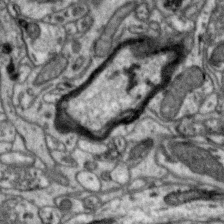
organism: Zebra finch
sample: Brain